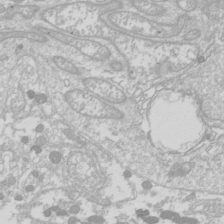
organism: Drosophila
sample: Cell division; meiosis; drosophila spermatocytes